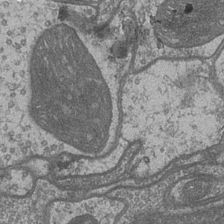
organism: Drosophila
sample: Optic medulla